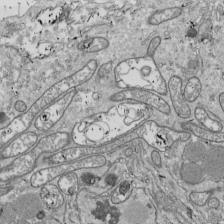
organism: Drosophila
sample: Cell division; meiosis; drosophila spermatocytes